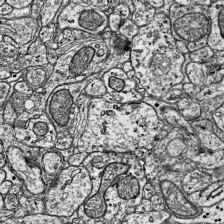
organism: Mouse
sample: Visual Cortex